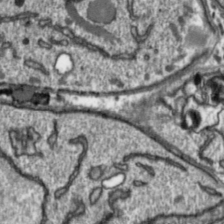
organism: Toxoplasma gondii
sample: Parasites in a vacuole inside a host cell